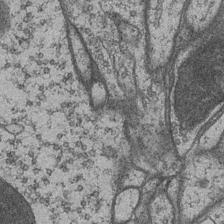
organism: Drosophila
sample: Optic medulla